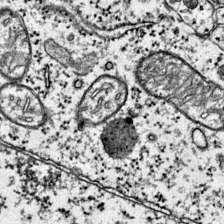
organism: Mouse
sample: Primary visual cortex